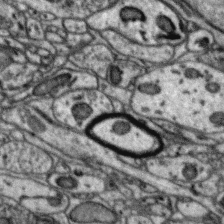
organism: Zebra finch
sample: Brain